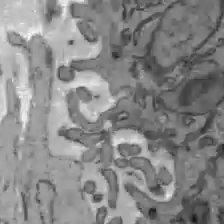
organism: C57BL Mouse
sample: Liver